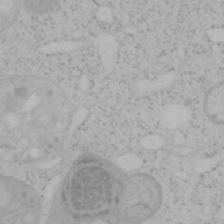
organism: Mouse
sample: OT-I killer T cells with ID8 ovarian cancer cells